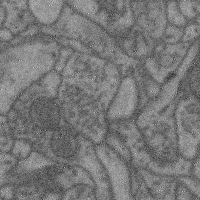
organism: Mouse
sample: Cerebral cortex